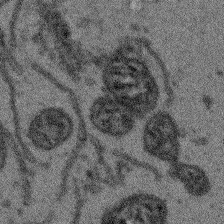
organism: Arabidopsis thaliana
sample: Root tip